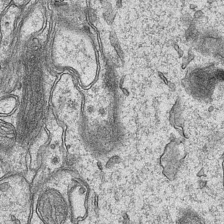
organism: Mouse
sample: CA1 Hippocampus